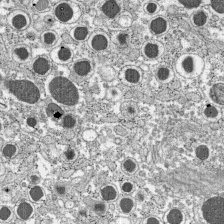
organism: C57BL Mouse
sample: Pancreatic islet